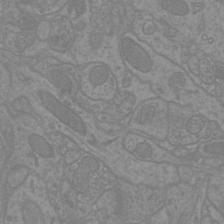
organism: Mouse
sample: Cortical neurons